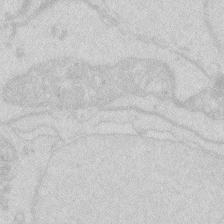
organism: Zebrafish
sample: Macrophage